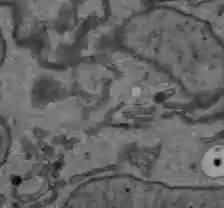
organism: C57BL Mouse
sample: Liver